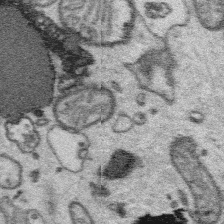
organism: Platynereis dumerilii